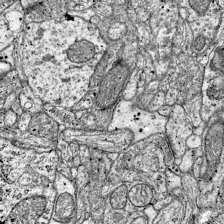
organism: Mouse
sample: Visual Cortex